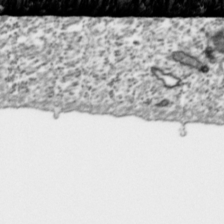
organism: Toxoplasma gondii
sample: Parasites in a vacuole inside a host cell